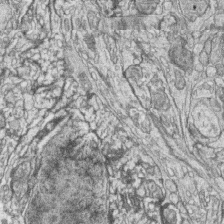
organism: Zebrafish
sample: synaptic ribbons in rod cells and cone cells